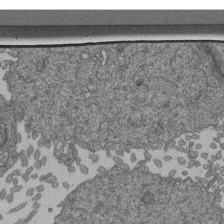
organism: Human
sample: Retinal organoid Rod and Cone cells